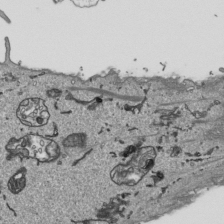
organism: Human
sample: Mitochondria in HCT116 cells